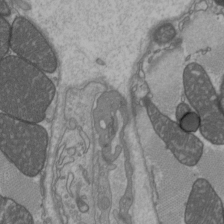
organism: C57BL Mouse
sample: Heart